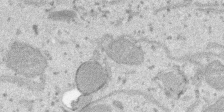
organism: Human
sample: Lung epithelial cells infected with SARS-CoV-2